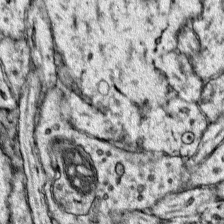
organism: Mouse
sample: Primary visual cortex